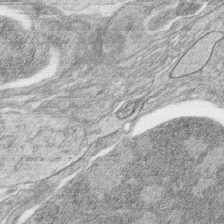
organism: Zebrafish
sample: synaptic ribbons in rod cells and cone cells